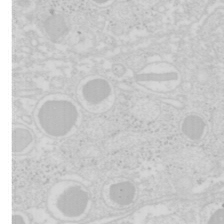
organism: Mouse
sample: Pancreas